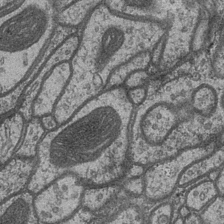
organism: Drosophila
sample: Optic medulla